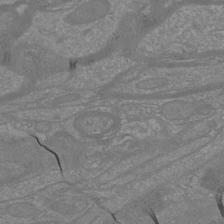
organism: Mouse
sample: Cortical neurons